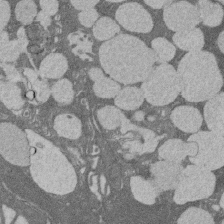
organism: Rat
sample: Salivary granule